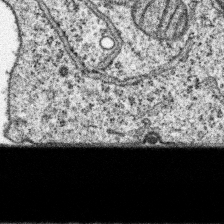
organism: Human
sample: HeLa cells